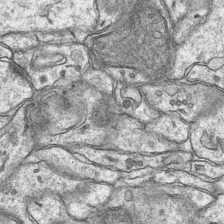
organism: Mouse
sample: CA1 Hippocampus